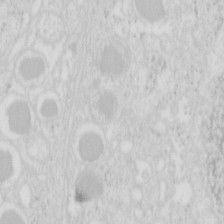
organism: Mouse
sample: Pancreas